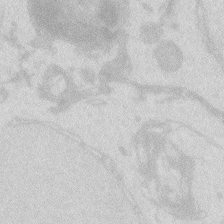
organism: Zebrafish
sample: Macrophage